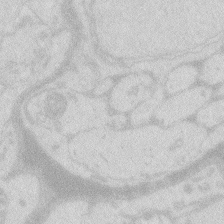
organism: Zebrafish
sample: Macrophage